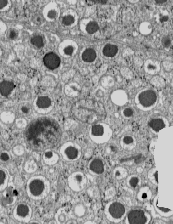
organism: C57BL Mouse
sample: Pancreatic islet